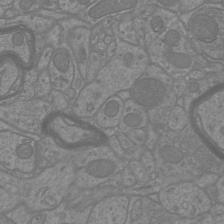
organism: Mouse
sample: Cortical neurons